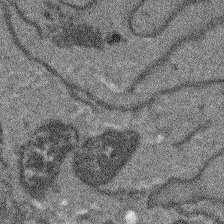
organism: Arabidopsis thaliana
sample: Root tip